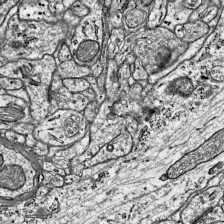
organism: Mouse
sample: Visual Cortex